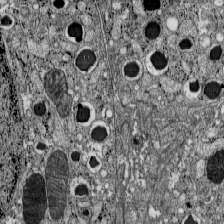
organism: C57BL Mouse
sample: Pancreatic islet